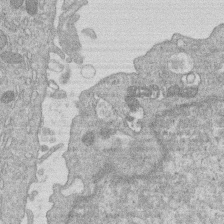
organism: Human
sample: Macrophage cells